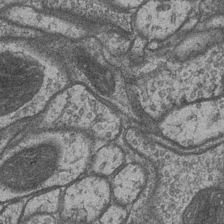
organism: Drosophila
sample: Optic medulla